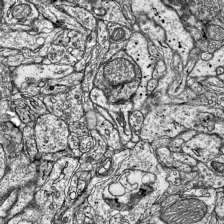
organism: Mouse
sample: Visual Cortex